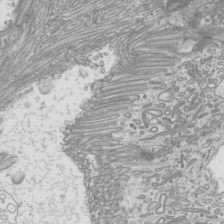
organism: Mouse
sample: Cilia; mouse epididymis